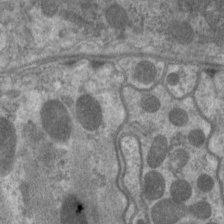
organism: C. elegans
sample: Pharynx